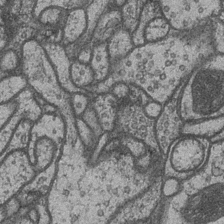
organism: Drosophila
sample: Optic medulla